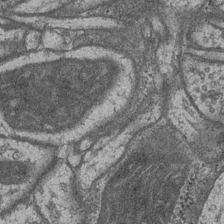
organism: Drosophila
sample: Optic medulla